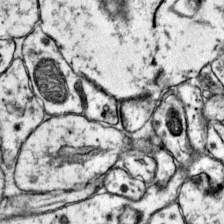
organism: Mouse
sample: Primary visual cortex